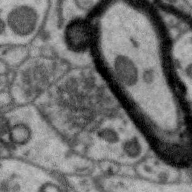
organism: Zebra finch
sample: Brain